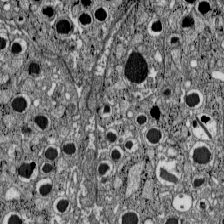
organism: C57BL Mouse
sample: Pancreatic islet